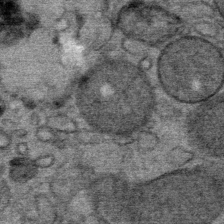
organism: Mouse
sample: Mouse Salivary gland